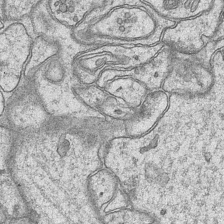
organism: Mouse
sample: CA1 Hippocampus